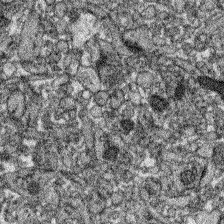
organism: Zebrafish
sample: Larval olfactory bulb